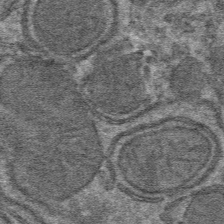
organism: Mouse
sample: Mouse hepatocytes